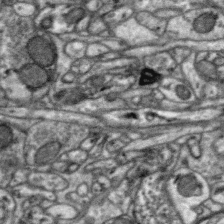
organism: Zebra finch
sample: Brain